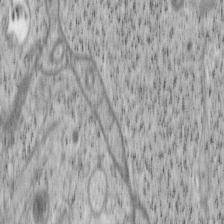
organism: Human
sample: HeLa cells